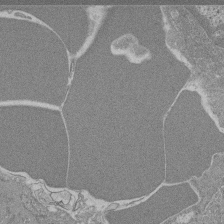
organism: Mouse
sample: Glomerulus